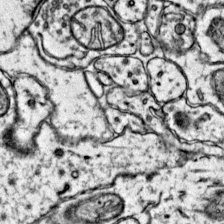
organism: Mouse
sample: Primary visual cortex